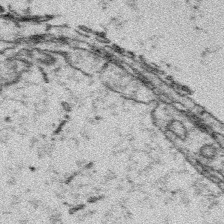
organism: Platynereis dumerilii